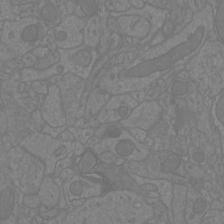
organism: Mouse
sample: Cortical neurons